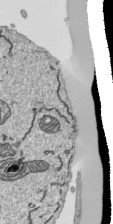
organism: Human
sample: Mitochondria in HCT116 cells